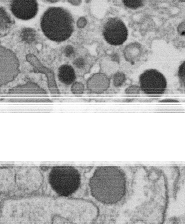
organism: C. elegans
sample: C. elegans oocyte; sperm cells